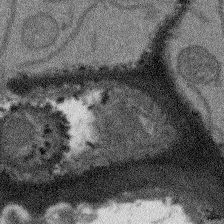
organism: Arabidopsis thaliana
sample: Root tip